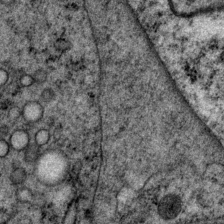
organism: P. pacificus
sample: Pharynx